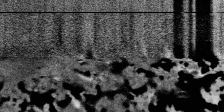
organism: Human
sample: Lung epithelial cells, uninfected (mock) control